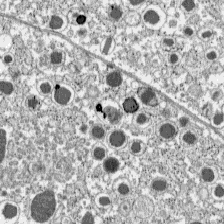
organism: C57BL Mouse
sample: Pancreatic islet